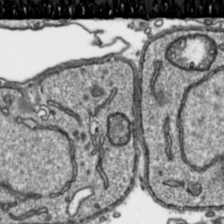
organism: Toxoplasma gondii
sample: Parasites in a vacuole inside a host cell